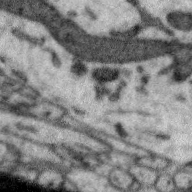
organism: Zebra finch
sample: Brain